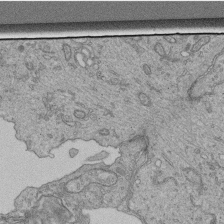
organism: Human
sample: Retinal organoid Rod and Cone cells